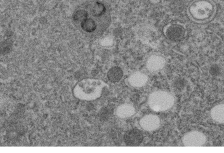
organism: C. elegans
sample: C. elegans embryo early stage